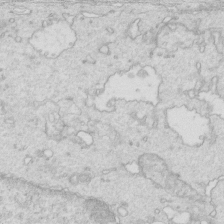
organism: Mouse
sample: Multiciliated cells